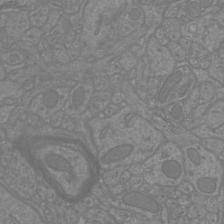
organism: Mouse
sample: Cortical neurons